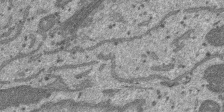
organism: Human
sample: Lung epithelial cells infected with SARS-CoV-2